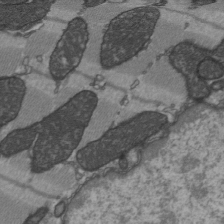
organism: C57BL Mouse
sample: Heart